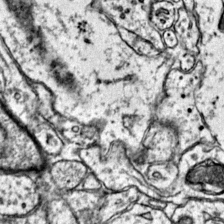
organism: Mouse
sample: Primary visual cortex